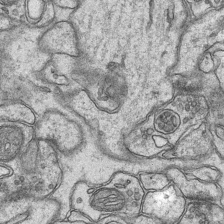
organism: Mouse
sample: CA1 Hippocampus